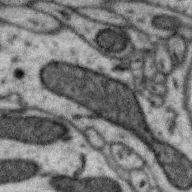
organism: Zebra finch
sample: Brain